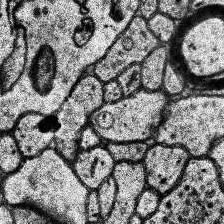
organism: Human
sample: Temporal Lobe